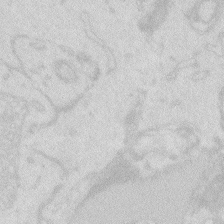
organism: Zebrafish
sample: Macrophage